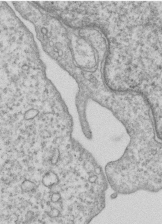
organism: Human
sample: MDA-MB-231 cells